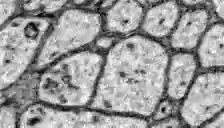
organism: Zebrafish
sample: Brain